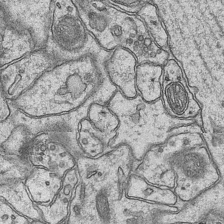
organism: Mouse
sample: CA1 Hippocampus